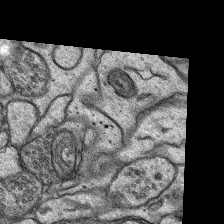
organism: Rat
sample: Hippocampus